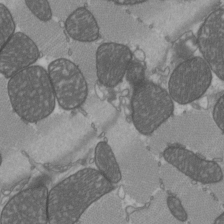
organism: C57BL Mouse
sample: Heart